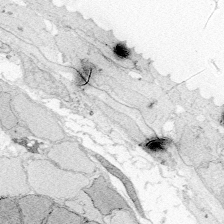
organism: Zebrafish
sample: Whole-Brain